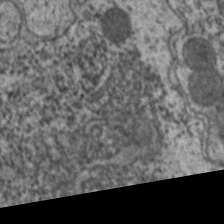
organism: C. elegans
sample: Pharynx